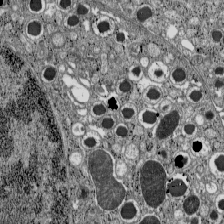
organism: C57BL Mouse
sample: Pancreatic islet